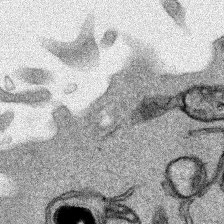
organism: Human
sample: Mitochondria in HCT116 cells